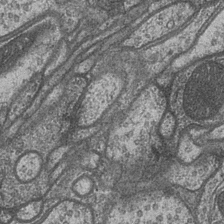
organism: Drosophila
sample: Optic medulla